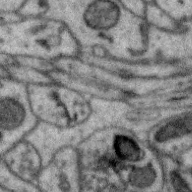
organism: Zebra finch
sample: Brain